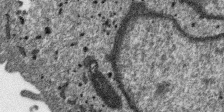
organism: Human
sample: Lung epithelial cells infected with SARS-CoV-2